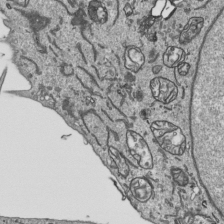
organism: Human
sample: Mitochondria in HCT116 cells